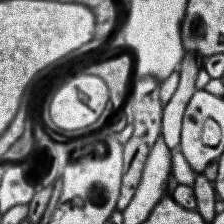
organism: Human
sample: Temporal Lobe